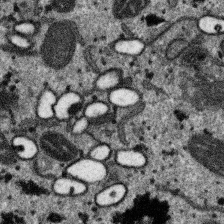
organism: Human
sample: Lung epithelial cells infected with SARS-CoV-2